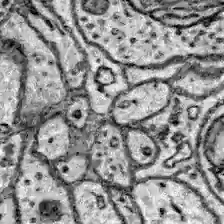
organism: Zebrafish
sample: Brain